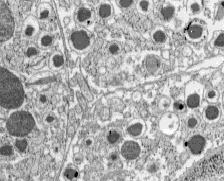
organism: C57BL Mouse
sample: Pancreatic islet